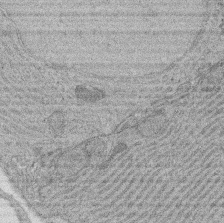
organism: Rat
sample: Salivary granule